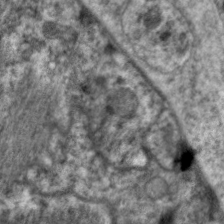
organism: C. elegans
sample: Pharynx